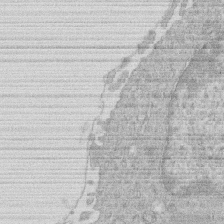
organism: Human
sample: Macrophage cells